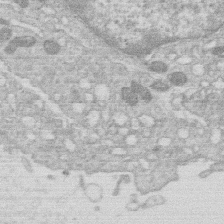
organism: Human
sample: Macrophage cells